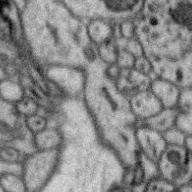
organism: Zebra finch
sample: Brain